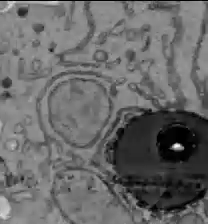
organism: C57BL Mouse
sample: Liver